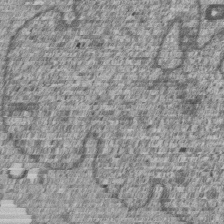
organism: Human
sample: MDA-MB-231 cells